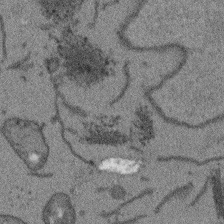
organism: Arabidopsis thaliana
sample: Root tip